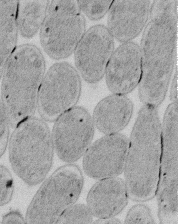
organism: E. coli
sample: Bacterial nucleoid